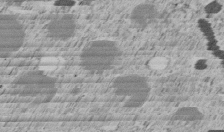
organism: C. elegans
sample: C. elegans embryo early stage